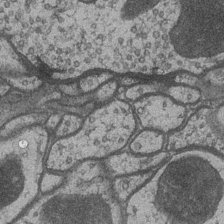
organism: Drosophila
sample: Optic medulla